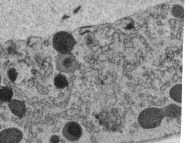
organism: C. elegans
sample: C. elegans oocyte; sperm cells